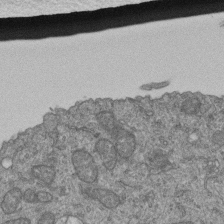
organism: Human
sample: Retinal organoid Rod and Cone cells